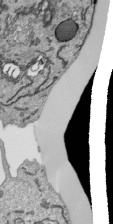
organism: Human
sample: Mitochondria in HCT116 cells